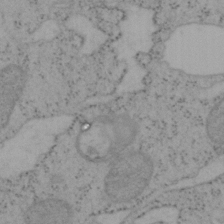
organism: Mouse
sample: OT-I killer T cells with ID8 ovarian cancer cells